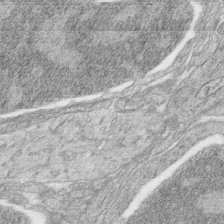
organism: Zebrafish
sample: synaptic ribbons in rod cells and cone cells